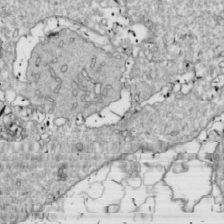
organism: Drosophila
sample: Cell division; meiosis; drosophila spermatocytes